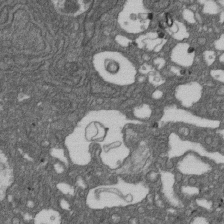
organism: Drosophila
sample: Nephrocyte